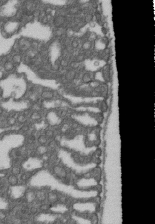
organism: Drosophila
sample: Nephrocyte